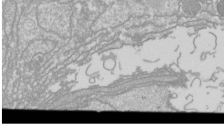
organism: Drosophila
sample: Cell division; meiosis; drosophila spermatocytes